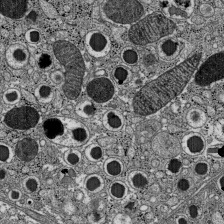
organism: C57BL Mouse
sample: Pancreatic islet